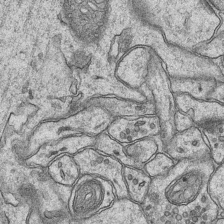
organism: Mouse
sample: CA1 Hippocampus